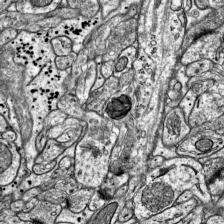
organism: Mouse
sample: Visual Cortex